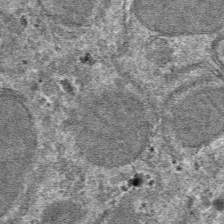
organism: Mouse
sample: Mouse hepatocytes